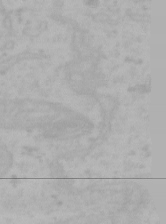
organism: Mouse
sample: Choroid plexus